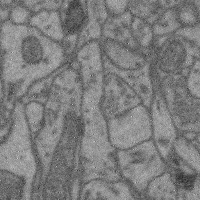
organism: Mouse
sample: Cerebral cortex